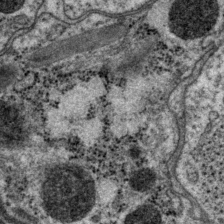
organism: P. pacificus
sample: Pharynx